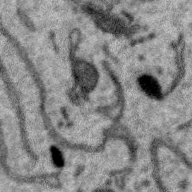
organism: Zebra finch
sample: Brain